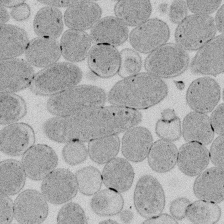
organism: E. coli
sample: Bacterial nucleoid